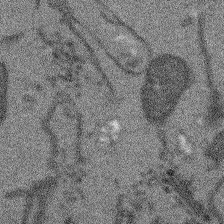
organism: Arabidopsis thaliana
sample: Root tip